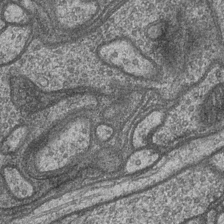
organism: Drosophila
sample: Optic medulla